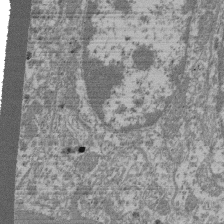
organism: Mouse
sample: Glomerulus